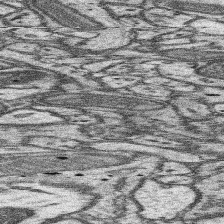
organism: Mouse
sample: Somatosensory cortex neuropil